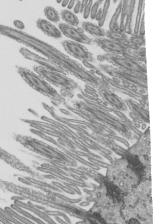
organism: Mouse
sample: Mouse epididymis efferent ductule cilia